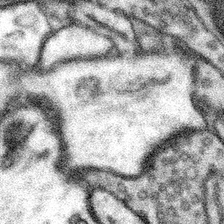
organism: Mouse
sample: Somatosensory cortex neuropil